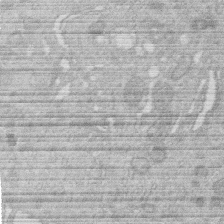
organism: Human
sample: Macrophage cells